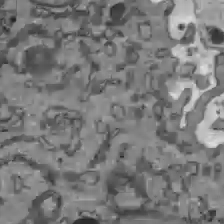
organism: C57BL Mouse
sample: Liver